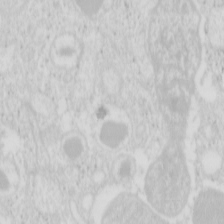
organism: Mouse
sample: Pancreas